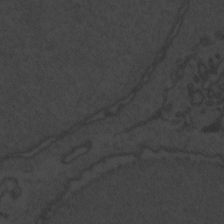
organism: Zebrafish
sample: Macrophage infected with Toxoplasma gondii